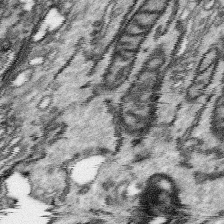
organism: Human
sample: HeLa cells